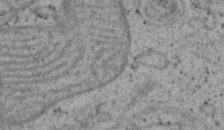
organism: Human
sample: HeLa cells